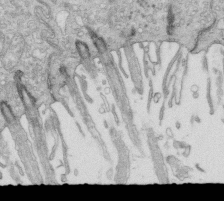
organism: Mouse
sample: Multiciliated cells